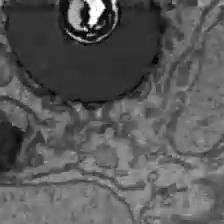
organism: C57BL Mouse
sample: Liver